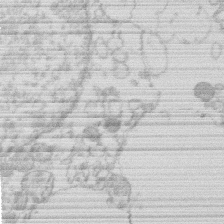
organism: Human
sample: Macrophage cells